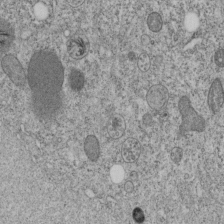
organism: C. elegans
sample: C. elegans embryo early stage